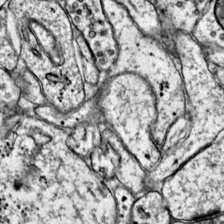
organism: Mouse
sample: Primary visual cortex